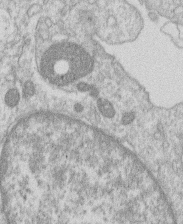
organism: Human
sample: Macrophage cells